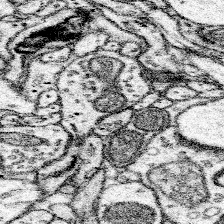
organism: Mouse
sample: Somatosensory cortex neuropil